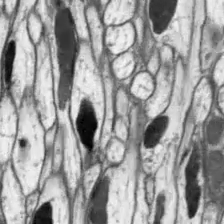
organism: Drosophila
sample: Optic lobe